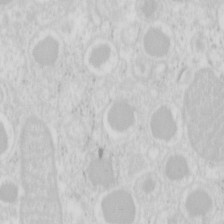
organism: Mouse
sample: Pancreas